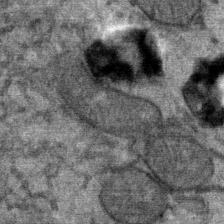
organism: Mouse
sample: Mouse Salivary gland